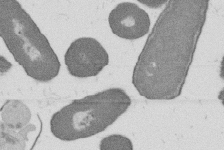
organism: B. subtilis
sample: Bacterial spore